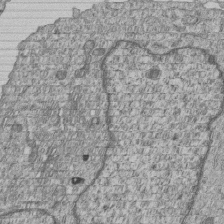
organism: Human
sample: MDA-MB-231 cells